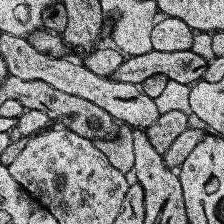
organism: Human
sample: Temporal Lobe